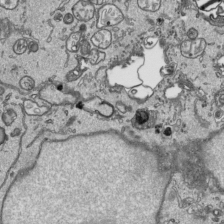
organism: Human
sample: Mitochondria in HCT116 cells